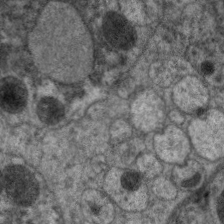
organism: C. elegans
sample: Pharynx